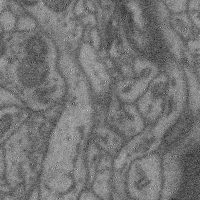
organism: Mouse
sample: Cerebral cortex